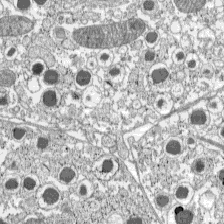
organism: C57BL Mouse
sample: Pancreatic islet